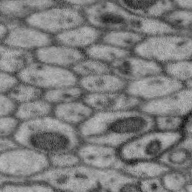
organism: Zebra finch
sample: Brain